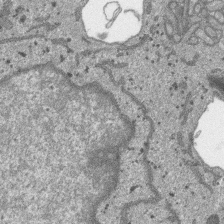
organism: Human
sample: Lung epithelial cells infected with SARS-CoV-2